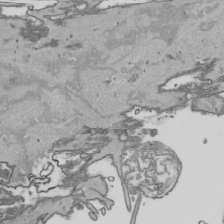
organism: Human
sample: Mitochondria in HCT116 cells